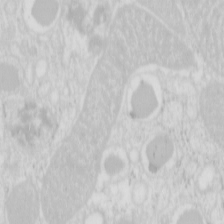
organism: Mouse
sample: Pancreas